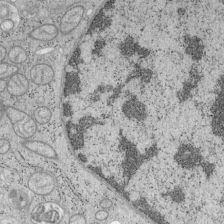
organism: Mouse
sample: OT-I killer T cells with ID8 ovarian cancer cells